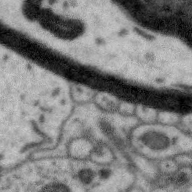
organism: Zebra finch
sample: Brain